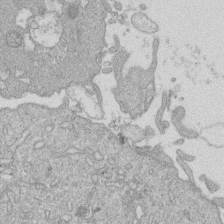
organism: Human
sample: Macrophage cells